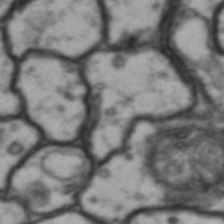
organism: Drosophila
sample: Brain